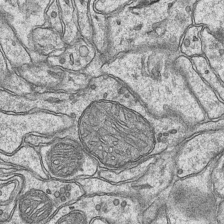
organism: Mouse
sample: CA1 Hippocampus